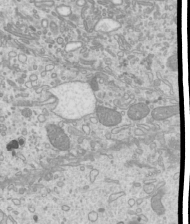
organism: Mouse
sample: Cilia; mouse epididymis